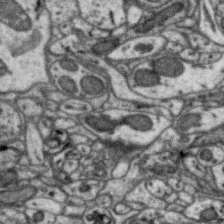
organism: Zebra finch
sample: Brain